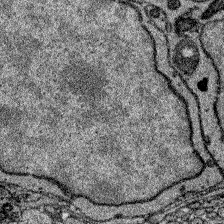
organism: Zebrafish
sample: Larval olfactory bulb